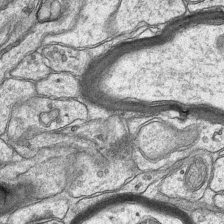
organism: Mouse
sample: CA1 Hippocampus